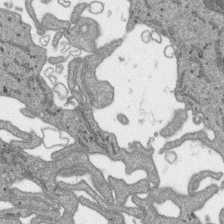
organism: Human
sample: Lung epithelial cells infected with SARS-CoV-2